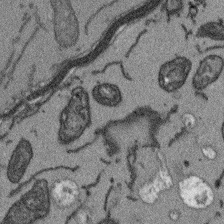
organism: Arabidopsis thaliana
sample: Root tip